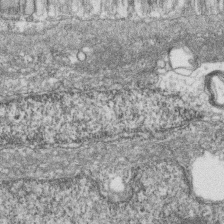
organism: Zebrafish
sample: Cilia; retinal pigment epithelium